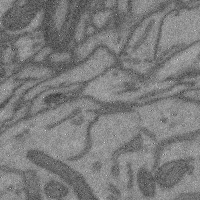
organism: Mouse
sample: Cerebral cortex